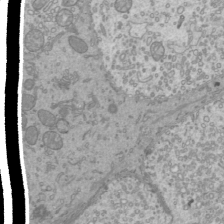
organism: Mouse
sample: Cilia; mouse epididymis